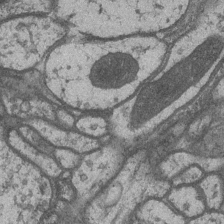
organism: Drosophila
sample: Optic medulla